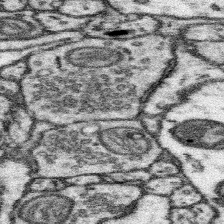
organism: Mouse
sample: Somatosensory cortex neuropil